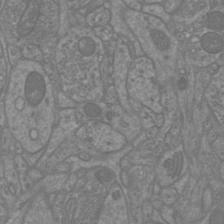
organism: Mouse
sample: Cortical neurons